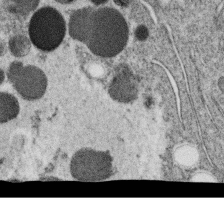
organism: C. elegans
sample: C. elegans oocyte; sperm cells